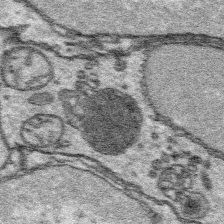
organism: Platynereis dumerilii